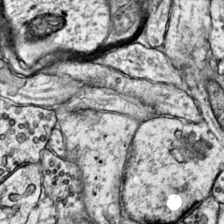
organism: Mouse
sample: Primary visual cortex